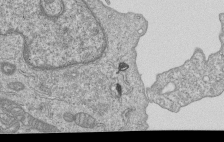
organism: Human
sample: MDA-MB-231 cells